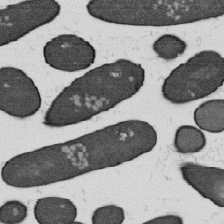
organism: B. subtilis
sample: Bacterial spore